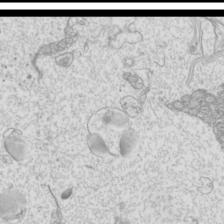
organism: Mouse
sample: Cilia; mouse epididymis